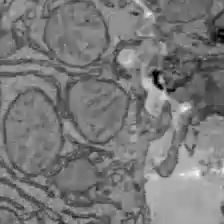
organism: C57BL Mouse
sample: Liver